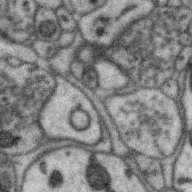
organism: Zebra finch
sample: Brain